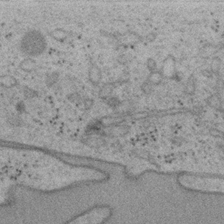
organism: Human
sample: HeLa cells